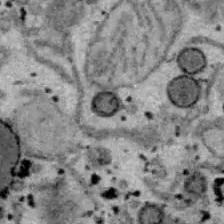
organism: Mouse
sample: Liver from an obese (ob/ob) mouse